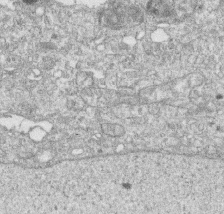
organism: Human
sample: HeLa cell HIV synapse